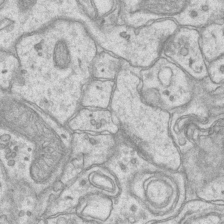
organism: Mouse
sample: CA1 Hippocampus